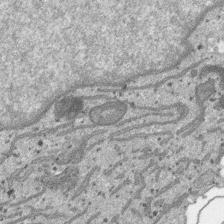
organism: Human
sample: Lung epithelial cells infected with SARS-CoV-2